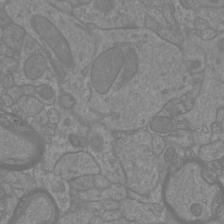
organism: Mouse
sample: Cortical neurons